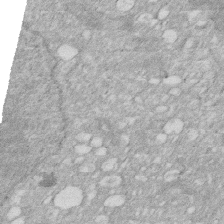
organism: Human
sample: HIV infected U937 cells